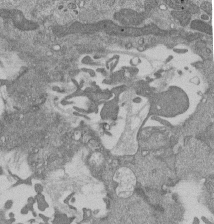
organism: Mouse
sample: ED-1 cell nuclei; centrioles